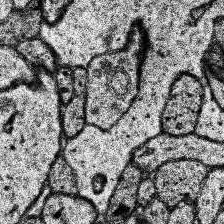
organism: Human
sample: Temporal Lobe